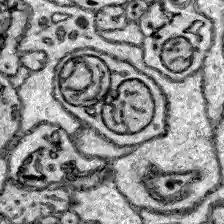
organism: Zebrafish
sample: Brain